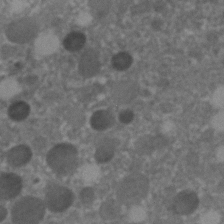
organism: C. elegans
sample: C. elegans embryo